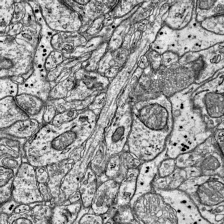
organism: Mouse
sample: Visual Cortex